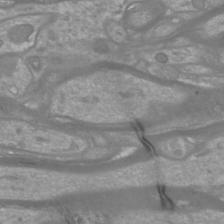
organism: Mouse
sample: Cortical neurons